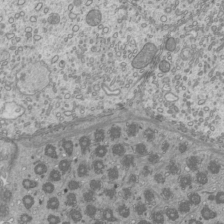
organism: Mouse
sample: Cilia; mouse epididymis